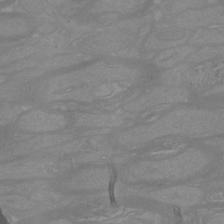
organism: Mouse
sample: Cortical neurons